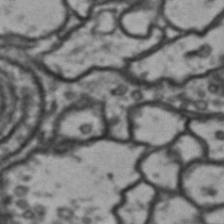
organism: Drosophila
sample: Brain